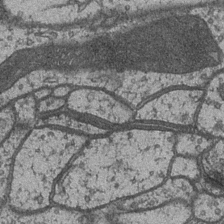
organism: Drosophila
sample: Optic medulla